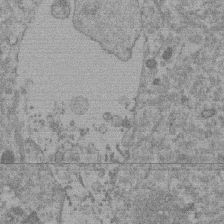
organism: Mouse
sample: Dividing mouse embryo 1 cell stage